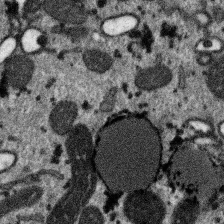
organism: Human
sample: Lung epithelial cells infected with SARS-CoV-2